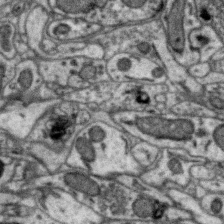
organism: Zebra finch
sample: Brain